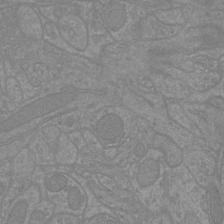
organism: Mouse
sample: Cortical neurons